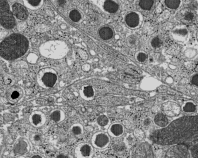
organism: C57BL Mouse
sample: Pancreatic islet